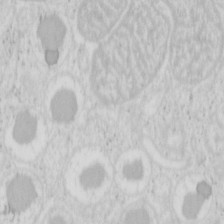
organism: Mouse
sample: Pancreas